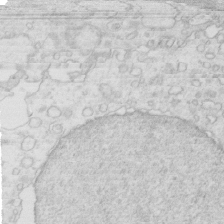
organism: Mouse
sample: Multiciliated cells